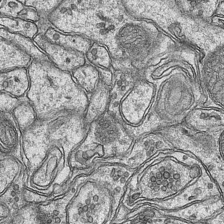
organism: Mouse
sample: CA1 Hippocampus